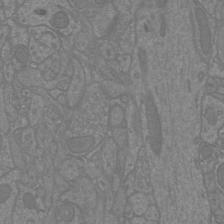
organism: Mouse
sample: Cortical neurons